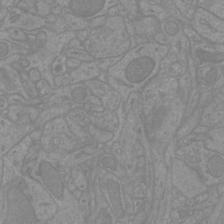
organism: Mouse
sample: Cortical neurons